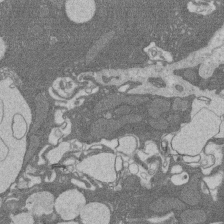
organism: Rat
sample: Salivary granule